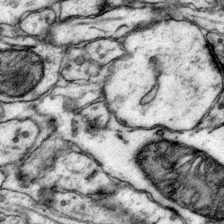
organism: Mouse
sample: Primary visual cortex